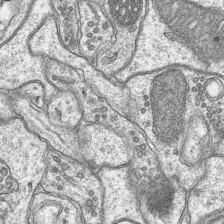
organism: Mouse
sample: CA1 Hippocampus